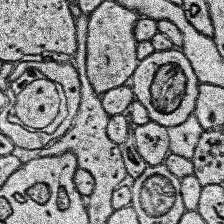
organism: Human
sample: Temporal Lobe